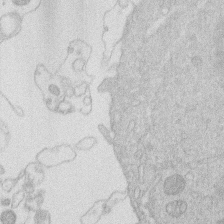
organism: Human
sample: Macrophage cells